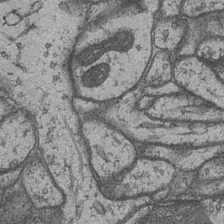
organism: Drosophila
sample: Optic medulla